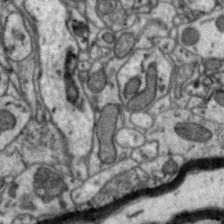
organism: Zebra finch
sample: Brain